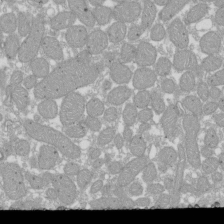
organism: Xenopus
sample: Cilia; centrioles in frog embryo cells